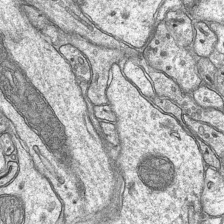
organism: Mouse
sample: CA1 Hippocampus